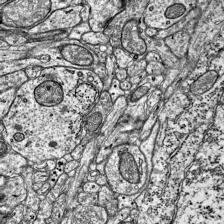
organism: Mouse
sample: Visual Cortex